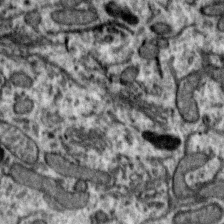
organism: Zebra finch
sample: Brain